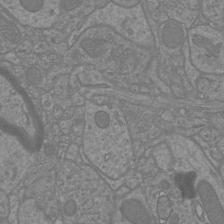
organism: Mouse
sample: Cortical neurons